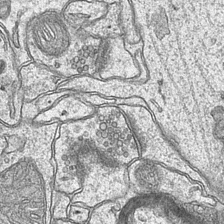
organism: Mouse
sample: CA1 Hippocampus